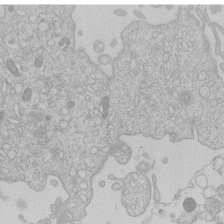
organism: Human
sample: Macrophage cells